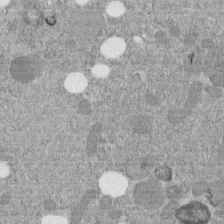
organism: C. elegans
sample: C. elegans embryo early stage